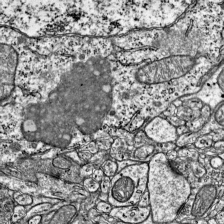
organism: Mouse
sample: Visual Cortex